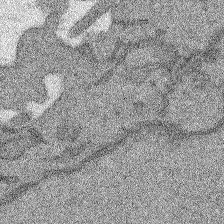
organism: Human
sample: HeLa cells